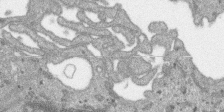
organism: Human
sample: Lung epithelial cells infected with SARS-CoV-2